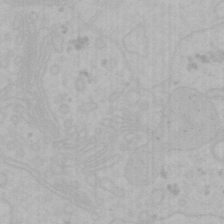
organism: Mouse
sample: Choroid plexus